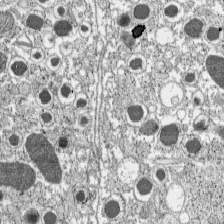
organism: C57BL Mouse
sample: Pancreatic islet